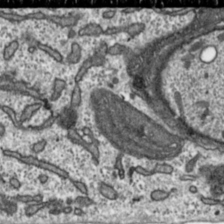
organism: Toxoplasma gondii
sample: Parasites in a vacuole inside a host cell